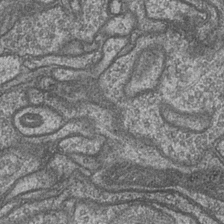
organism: Drosophila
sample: Optic medulla